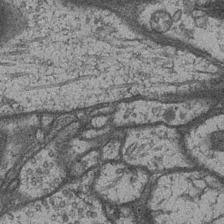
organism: Drosophila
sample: Optic medulla